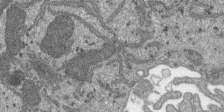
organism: Human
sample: Lung epithelial cells infected with SARS-CoV-2